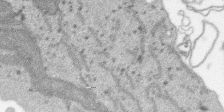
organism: Human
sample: Lung epithelial cells infected with SARS-CoV-2